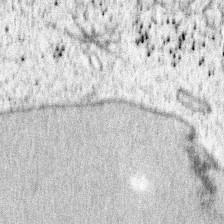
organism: Human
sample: HeLa cells